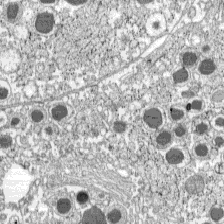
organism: C57BL Mouse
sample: Pancreatic islet